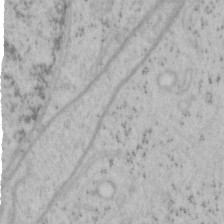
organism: Human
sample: HeLa cells